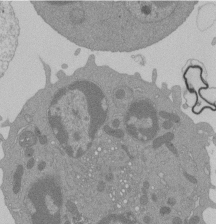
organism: Mouse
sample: Activated Pmel transgenic CD8+ T Cells